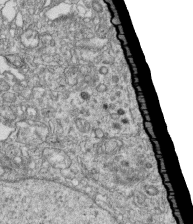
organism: Human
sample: HeLa cell HIV synapse